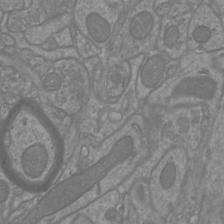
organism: Mouse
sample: Cortical neurons